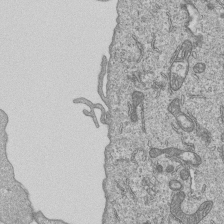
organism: Human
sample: MDA-MB-231 cells